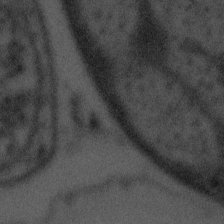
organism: Tuwongella immobilis